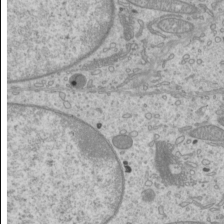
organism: Mouse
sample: Cilia; mouse epididymis